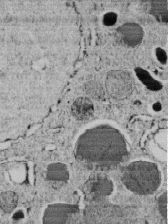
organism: C. elegans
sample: C. elegans embryo early stage